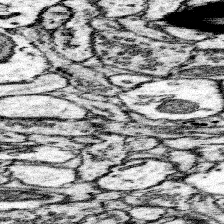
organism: Mouse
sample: Somatosensory cortex neuropil